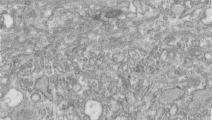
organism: Human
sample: Centriole in RPE cells